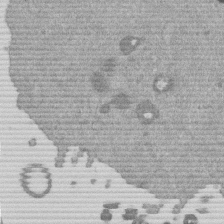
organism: Mouse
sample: Dividing mouse embryo 1 cell stage